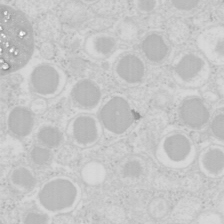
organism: Mouse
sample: Pancreas